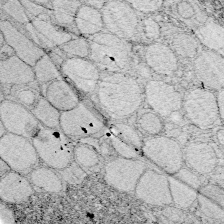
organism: Zebrafish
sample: Whole-Brain